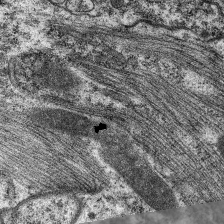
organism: C. elegans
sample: Pharynx